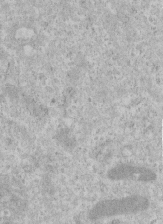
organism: Human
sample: Centriole in RPE cells